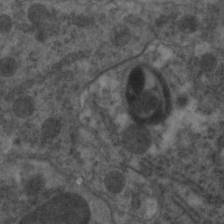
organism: C. elegans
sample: Pharynx